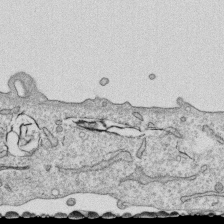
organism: Human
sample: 1205lu cells